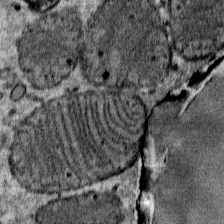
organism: Mouse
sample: Mouse Salivary gland